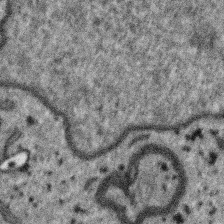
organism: Human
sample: Lung epithelial cells infected with SARS-CoV-2